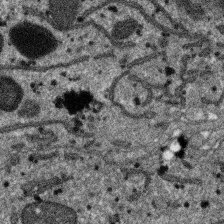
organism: Human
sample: Lung epithelial cells infected with SARS-CoV-2